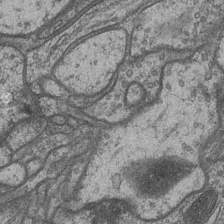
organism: Drosophila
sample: Optic medulla